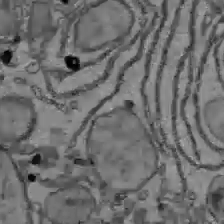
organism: C57BL Mouse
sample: Liver